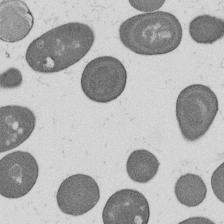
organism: B. subtilis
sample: Bacterial spore